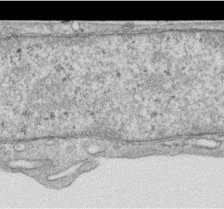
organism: Human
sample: Centriole in RPE cells